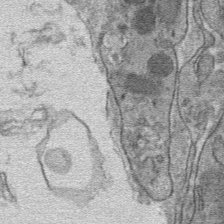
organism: Mouse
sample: Mouse hepatocytes